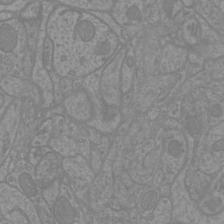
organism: Mouse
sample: Cortical neurons